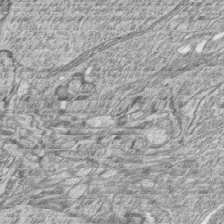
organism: Zebrafish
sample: synaptic ribbons in rod cells and cone cells